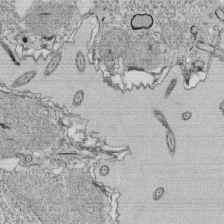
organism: Tetrahymena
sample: Cilia in tetrahymena